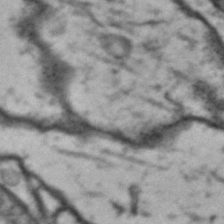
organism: Drosophila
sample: Brain